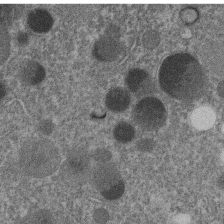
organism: C. elegans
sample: C. elegans embryo early stage